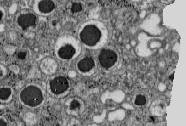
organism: C57BL Mouse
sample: Pancreatic islet